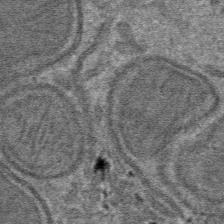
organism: Mouse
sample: Mouse hepatocytes